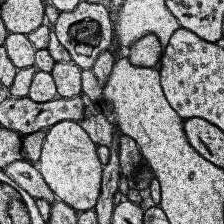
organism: Human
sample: Temporal Lobe